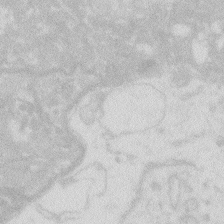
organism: Zebrafish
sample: Macrophage